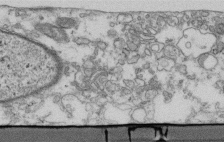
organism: Human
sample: Centriole in fibroblast cells